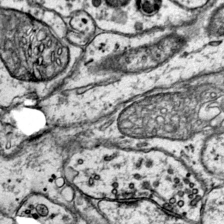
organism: Mouse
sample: Primary visual cortex